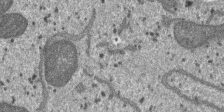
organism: Human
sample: Lung epithelial cells infected with SARS-CoV-2